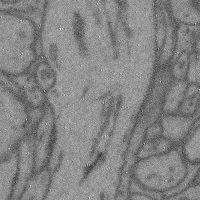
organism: Mouse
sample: Cerebral cortex